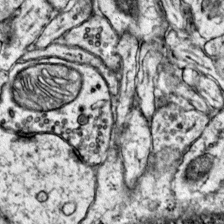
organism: Mouse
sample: Primary visual cortex